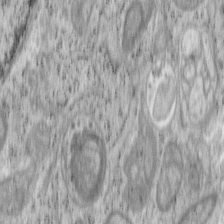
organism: Human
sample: HeLa cells